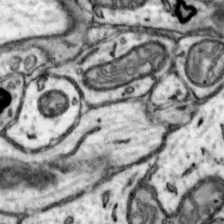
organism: Mouse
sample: Nucleus accumbens